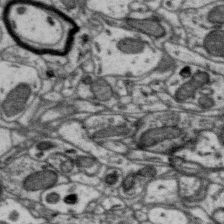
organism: Zebra finch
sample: Brain